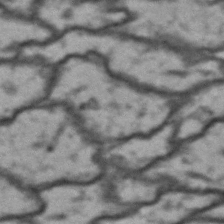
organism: Drosophila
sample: Brain